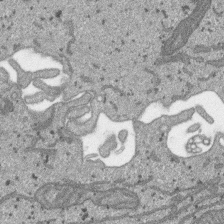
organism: Human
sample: Lung epithelial cells infected with SARS-CoV-2